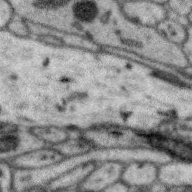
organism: Zebra finch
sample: Brain